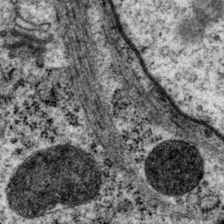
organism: P. pacificus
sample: Pharynx